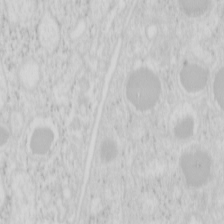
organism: Mouse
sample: Pancreas